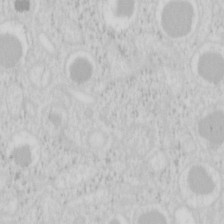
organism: Mouse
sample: Pancreas